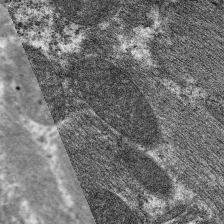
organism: C. elegans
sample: Pharynx